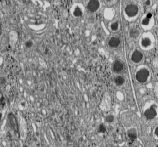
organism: C57BL Mouse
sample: Pancreatic islet